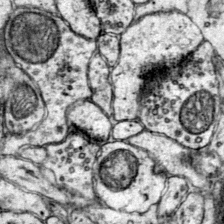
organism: Mouse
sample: Primary visual cortex